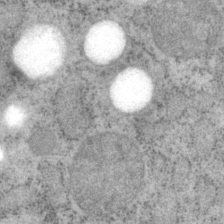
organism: P. pacificus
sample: Pharynx